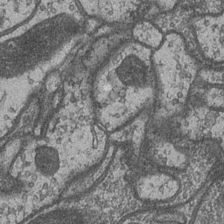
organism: Drosophila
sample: Optic medulla